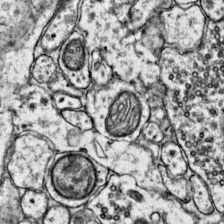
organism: Mouse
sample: Primary visual cortex